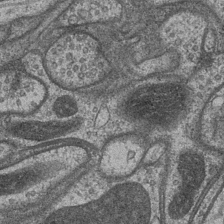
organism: Drosophila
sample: Optic medulla